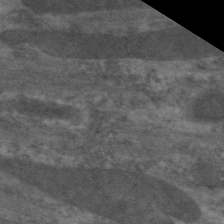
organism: C. elegans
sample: Pharynx